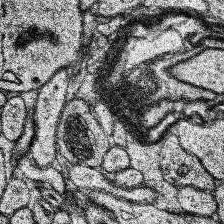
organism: Human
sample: Temporal Lobe